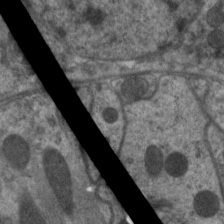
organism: C. elegans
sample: Pharynx